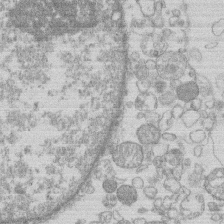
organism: Human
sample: Macrophage cells